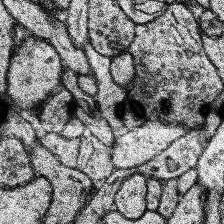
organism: Human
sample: Temporal Lobe